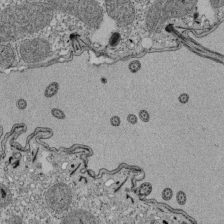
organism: Tetrahymena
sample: Cilia in tetrahymena